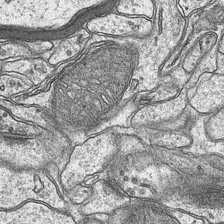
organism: Mouse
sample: CA1 Hippocampus